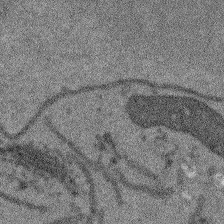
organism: Arabidopsis thaliana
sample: Root tip